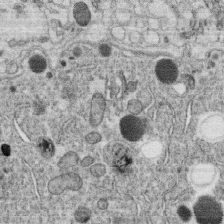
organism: C. elegans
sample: C. elegans oocyte; sperm cells